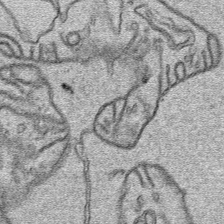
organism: Human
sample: Mitochondria in HCT116 cells